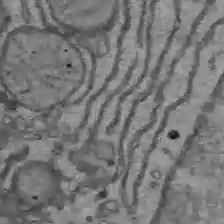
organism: C57BL Mouse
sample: Liver